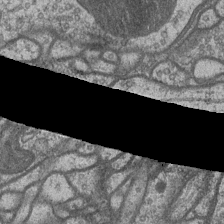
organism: Drosophila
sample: Optic medulla